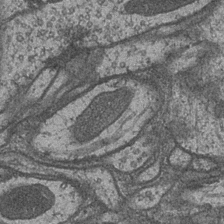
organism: Drosophila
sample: Optic medulla